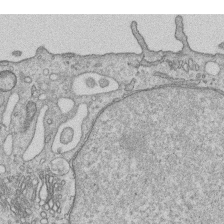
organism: Human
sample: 1205lu cells